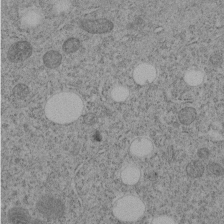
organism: C. elegans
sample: C. elegans embryo early stage